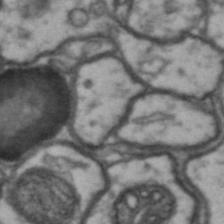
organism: Drosophila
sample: Brain